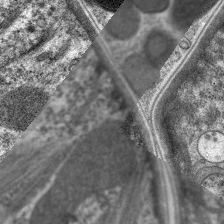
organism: C. elegans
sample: Pharynx